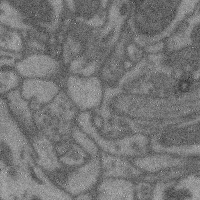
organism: Mouse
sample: Cerebral cortex